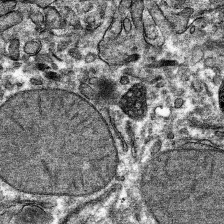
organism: Mouse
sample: Mouse hepatocytes